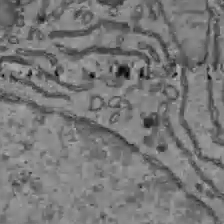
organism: C57BL Mouse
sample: Liver